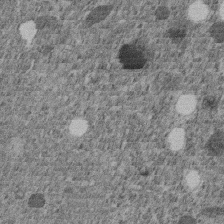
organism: C. elegans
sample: C. elegans embryo early stage